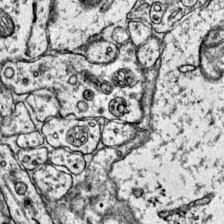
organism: Mouse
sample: Primary visual cortex